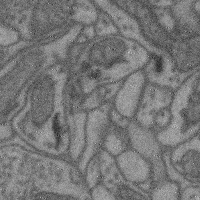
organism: Mouse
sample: Cerebral cortex